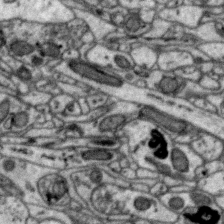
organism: Zebra finch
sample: Brain